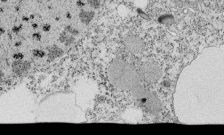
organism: Tetrahymena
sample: Cilia in tetrahymena